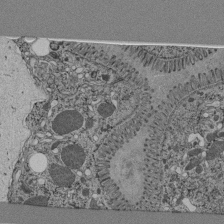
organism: C. elegans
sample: C. elegans pharynx